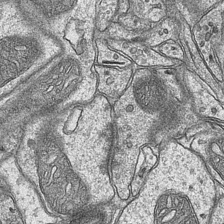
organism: Mouse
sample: CA1 Hippocampus